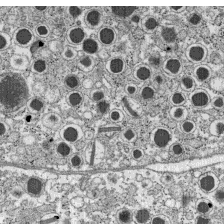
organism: C57BL Mouse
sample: Pancreatic islet